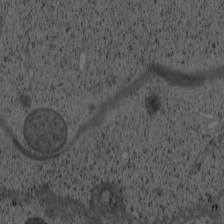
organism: African green monkey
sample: COS-7 cells